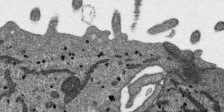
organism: Human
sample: Lung epithelial cells, uninfected (mock) control